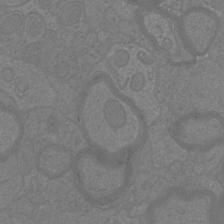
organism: Mouse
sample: Cortical neurons